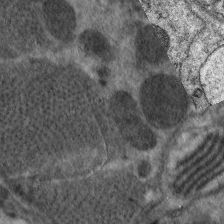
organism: C. elegans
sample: Pharynx